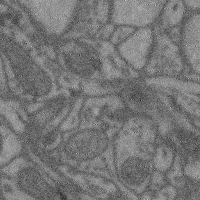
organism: Mouse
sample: Cerebral cortex